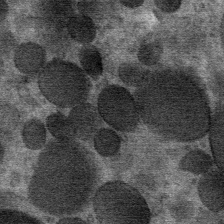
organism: Mouse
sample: Mouse Salivary gland